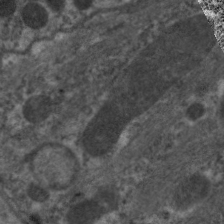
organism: C. elegans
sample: Pharynx